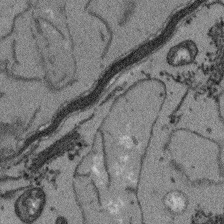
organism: Arabidopsis thaliana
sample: Root tip